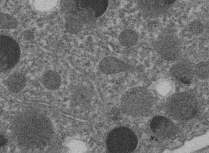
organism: C. elegans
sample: C. elegans embryo early stage